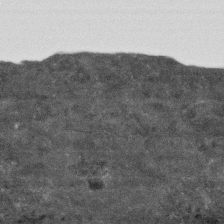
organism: Human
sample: Fibroblast cells